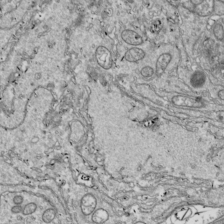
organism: Drosophila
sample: Cell division; meiosis; drosophila spermatocytes